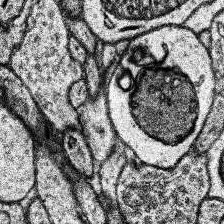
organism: Human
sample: Temporal Lobe